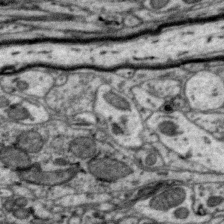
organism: Zebra finch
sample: Brain